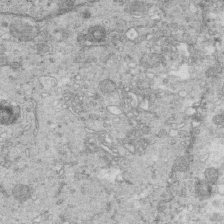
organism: Mouse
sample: Multiciliated cells